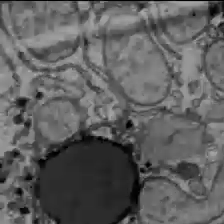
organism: C57BL Mouse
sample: Liver